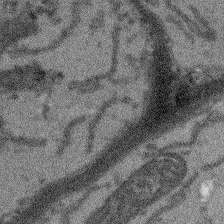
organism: Arabidopsis thaliana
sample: Root tip